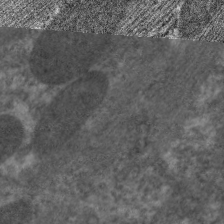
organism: C. elegans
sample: Pharynx